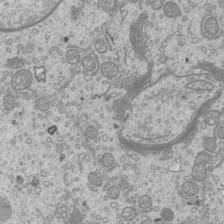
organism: Mouse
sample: Cilia; mouse epididymis